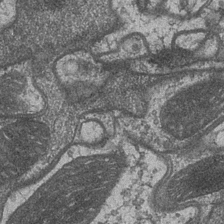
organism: Drosophila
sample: Optic medulla